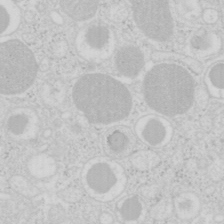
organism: Mouse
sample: Pancreas